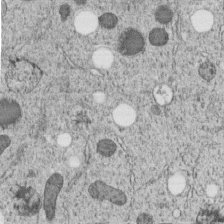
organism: C. elegans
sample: C. elegans embryo early stage